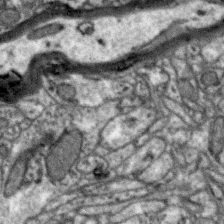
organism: Zebra finch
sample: Brain